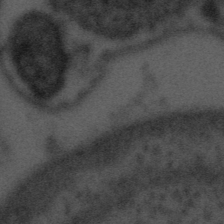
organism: Tuwongella immobilis